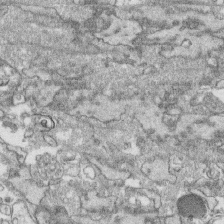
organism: Human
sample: CRL-1474